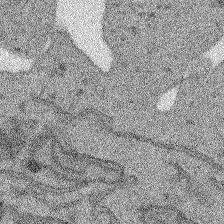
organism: Human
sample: HeLa cells